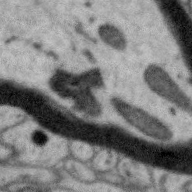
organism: Zebra finch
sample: Brain